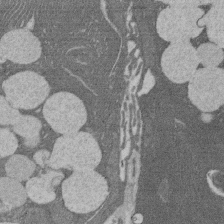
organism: Rat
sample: Salivary granule